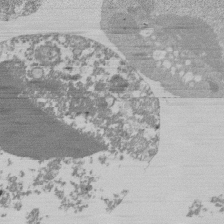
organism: Mouse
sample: Activated Pmel transgenic CD8+ T Cells